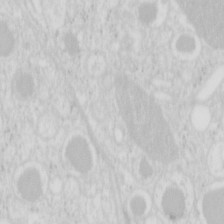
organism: Mouse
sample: Pancreas